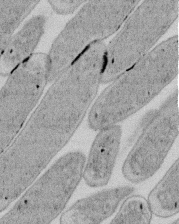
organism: E. coli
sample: Bacterial nucleoid